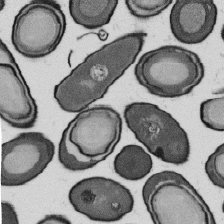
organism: B. subtilis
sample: Bacterial spore